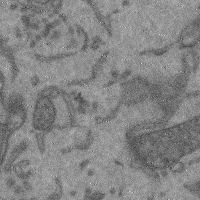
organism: Mouse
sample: Cerebral cortex